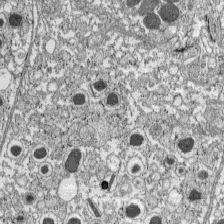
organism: C57BL Mouse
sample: Pancreatic islet